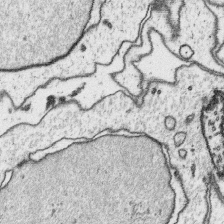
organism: Platynereis dumerilii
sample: Parapodia